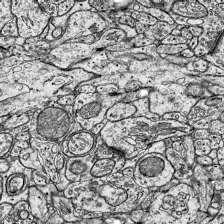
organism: Mouse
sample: Visual Cortex